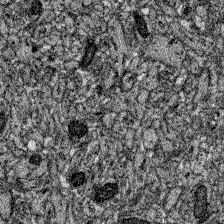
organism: Zebrafish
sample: Larval olfactory bulb